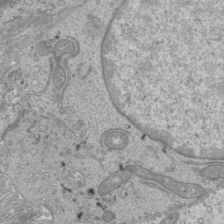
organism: Mouse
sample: Cilia; mouse epididymis